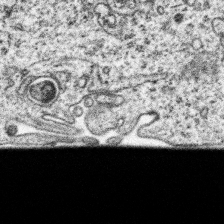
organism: Human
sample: HeLa cells